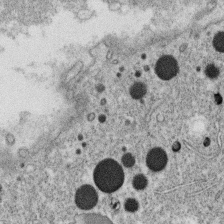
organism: C. elegans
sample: C. elegans oocyte; sperm cells